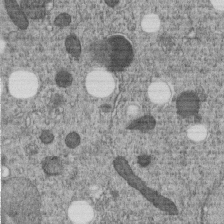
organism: C. elegans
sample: C. elegans embryo early stage